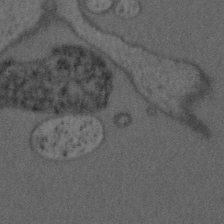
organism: Human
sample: HeLa cells